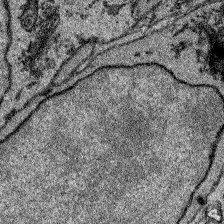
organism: Zebrafish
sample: Larval olfactory bulb